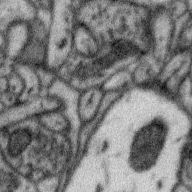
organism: Zebra finch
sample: Brain